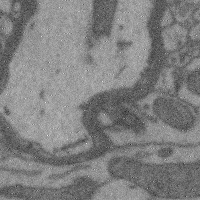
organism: Mouse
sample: Cerebral cortex